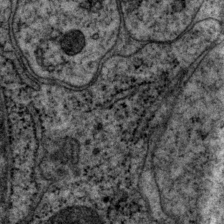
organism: P. pacificus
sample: Pharynx